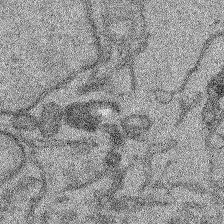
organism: Human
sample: HeLa cells